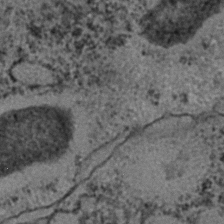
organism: C. elegans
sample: C. elegans embryo